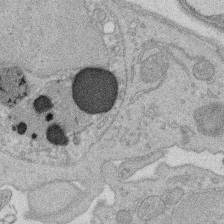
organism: Rat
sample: Salivary granule